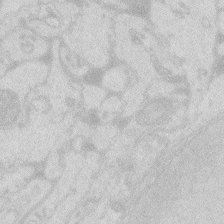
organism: Zebrafish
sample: Macrophage